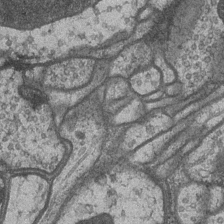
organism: Drosophila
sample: Optic medulla